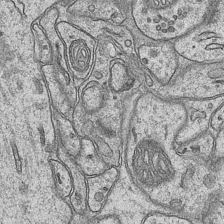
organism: Mouse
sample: CA1 Hippocampus